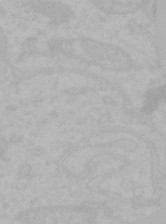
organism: Mouse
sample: Choroid plexus